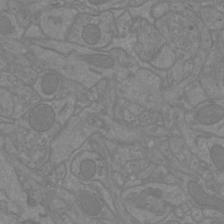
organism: Mouse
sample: Cortical neurons